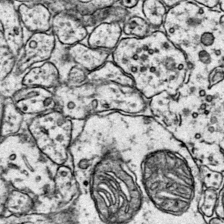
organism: Mouse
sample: Primary visual cortex